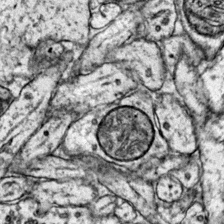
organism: Mouse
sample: Primary visual cortex